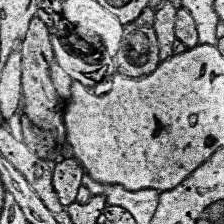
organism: Human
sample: Temporal Lobe